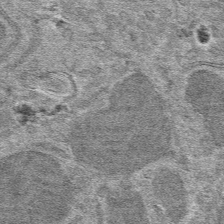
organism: Mouse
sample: Mouse hepatocytes